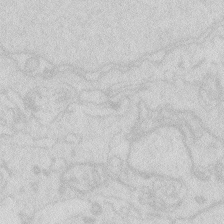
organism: Zebrafish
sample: Macrophage